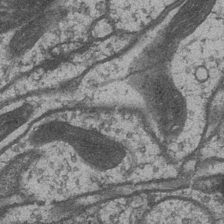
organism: Drosophila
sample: Optic medulla